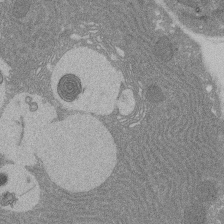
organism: Rat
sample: Salivary granule